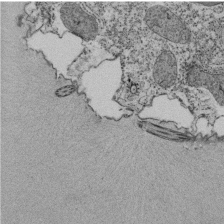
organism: Tetrahymena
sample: Cilia in tetrahymena